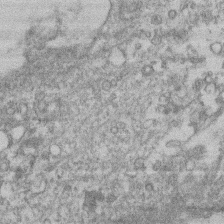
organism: Mouse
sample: T cell stromal cell synapse